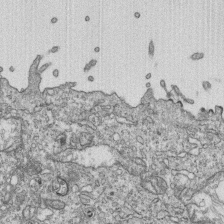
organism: Human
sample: HeLa cell HIV synapse